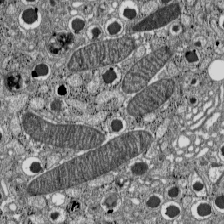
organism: C57BL Mouse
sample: Pancreatic islet